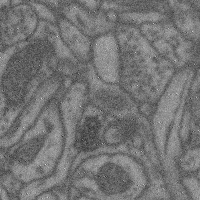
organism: Mouse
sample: Cerebral cortex